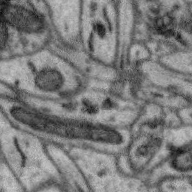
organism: Zebra finch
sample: Brain